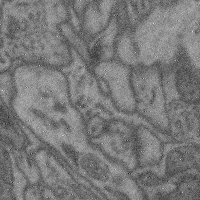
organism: Mouse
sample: Cerebral cortex